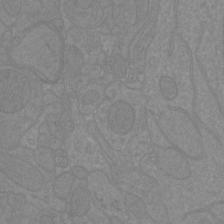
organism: Mouse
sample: Cortical neurons